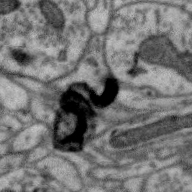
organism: Zebra finch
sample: Brain